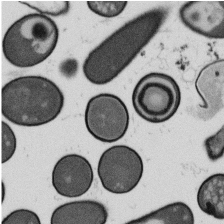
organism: B. subtilis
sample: Bacterial spore